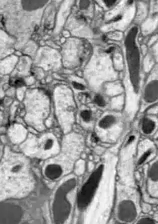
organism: Drosophila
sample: Optic lobe